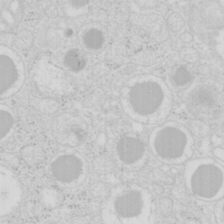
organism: Mouse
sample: Pancreas